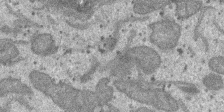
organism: Human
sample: Lung epithelial cells infected with SARS-CoV-2